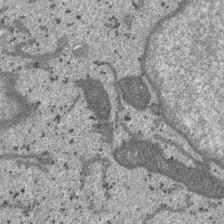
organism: Human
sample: Lung epithelial cells infected with SARS-CoV-2